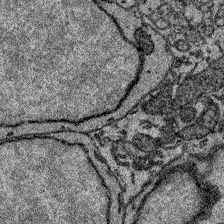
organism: Zebrafish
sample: Larval olfactory bulb